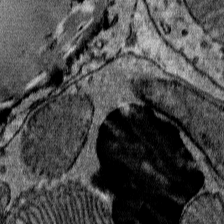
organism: Mouse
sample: Mouse Salivary gland